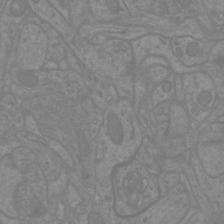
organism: Mouse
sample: Cortical neurons